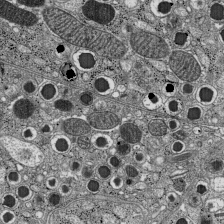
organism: C57BL Mouse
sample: Pancreatic islet